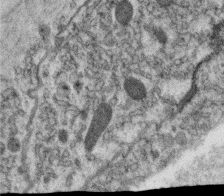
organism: C. elegans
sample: C. elegans oocyte; sperm cells